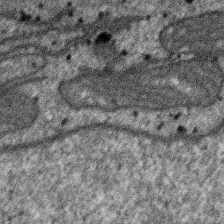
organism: Human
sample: Lung epithelial cells infected with SARS-CoV-2